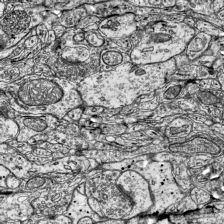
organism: Mouse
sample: Visual Cortex